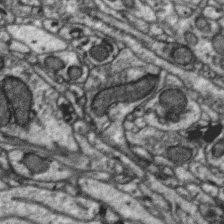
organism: Zebra finch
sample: Brain